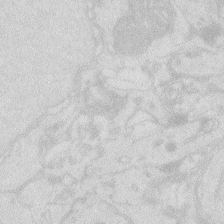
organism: Zebrafish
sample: Macrophage